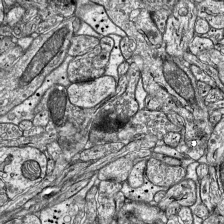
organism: Mouse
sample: Visual Cortex